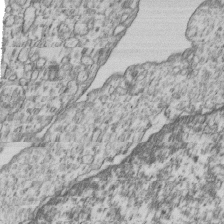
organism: Human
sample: MDA-MB-231 cells